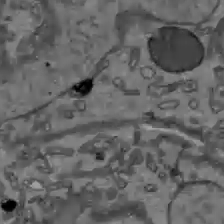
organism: C57BL Mouse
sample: Liver